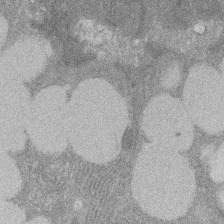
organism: Rat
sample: Salivary granule